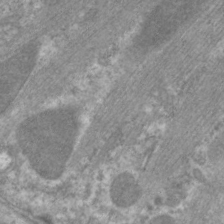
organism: C. elegans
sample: Pharynx